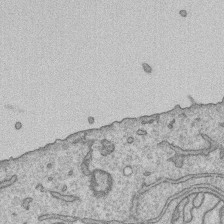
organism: Human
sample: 1205lu cells